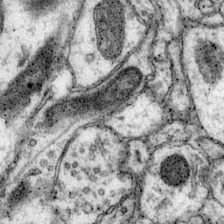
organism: Mouse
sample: Primary visual cortex